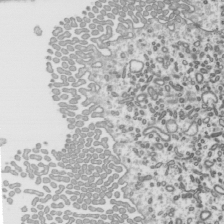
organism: Mouse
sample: Mouse epididymis efferent ductule cilia